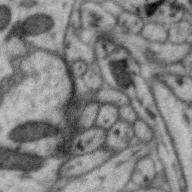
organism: Zebra finch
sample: Brain